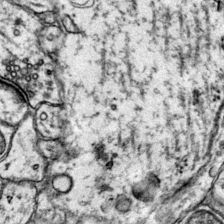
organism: Mouse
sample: Primary visual cortex